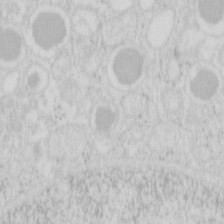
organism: Mouse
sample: Pancreas